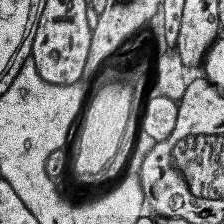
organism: Human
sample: Temporal Lobe